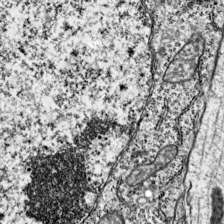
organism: Mouse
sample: Visual Cortex